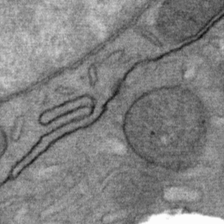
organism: Mouse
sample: Mouse Salivary gland